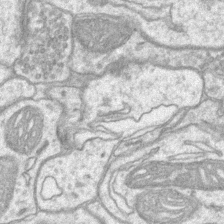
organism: Mouse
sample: CA1 Hippocampus